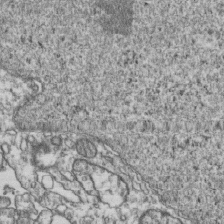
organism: Human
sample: Activated Jurkat CD4+ T cells